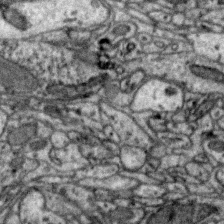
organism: Zebra finch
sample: Brain